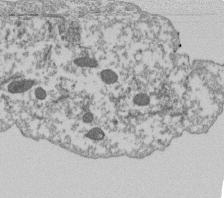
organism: Dictyostelium discoideum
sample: Dictyostelium multivesicular bodies